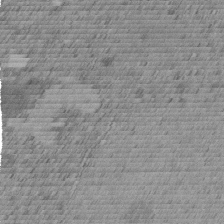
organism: C. elegans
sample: C. elegans embryo early stage